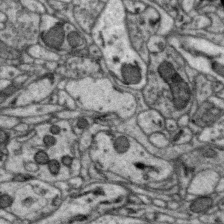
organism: Zebra finch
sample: Brain